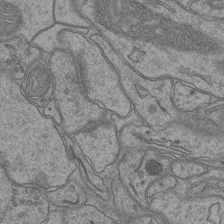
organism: Mouse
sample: CA1 Hippocampus